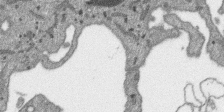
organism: Human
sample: Lung epithelial cells infected with SARS-CoV-2